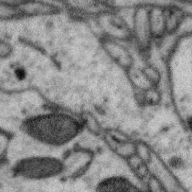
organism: Zebra finch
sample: Brain